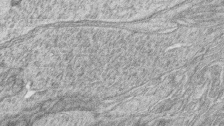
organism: Zebrafish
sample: synaptic ribbons in rod cells and cone cells